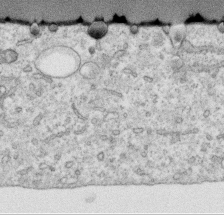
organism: Human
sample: Centriole in RPE cells